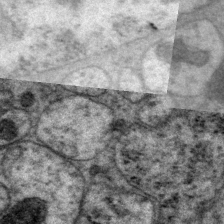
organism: P. pacificus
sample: Pharynx